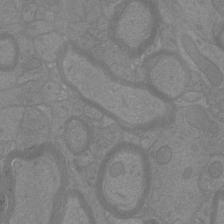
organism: Mouse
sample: Cortical neurons